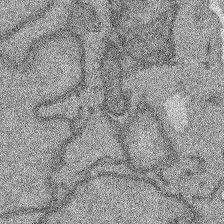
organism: Human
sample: HeLa cells